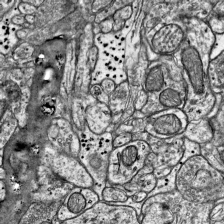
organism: Mouse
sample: Visual Cortex